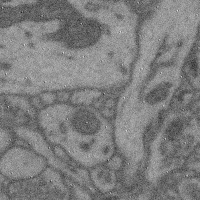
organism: Mouse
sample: Cerebral cortex